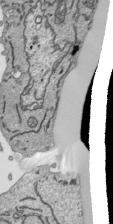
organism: Human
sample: Mitochondria in HCT116 cells